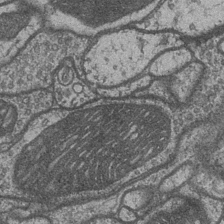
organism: Drosophila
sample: Optic medulla